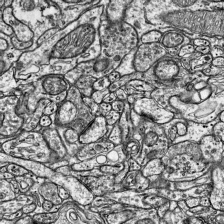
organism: Mouse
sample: Visual Cortex